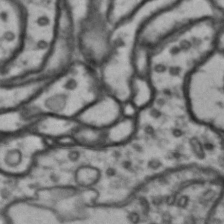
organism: Drosophila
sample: Brain